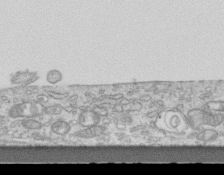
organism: Mouse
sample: Centriole in ependymal cells